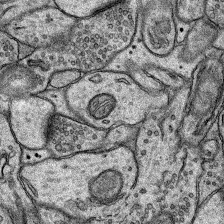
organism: Rat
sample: Hippocampus